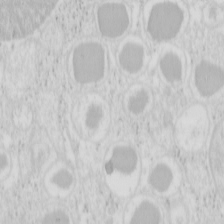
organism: Mouse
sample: Pancreas